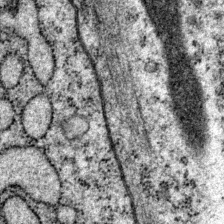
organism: P. pacificus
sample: Pharynx